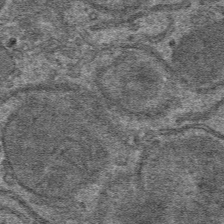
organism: Mouse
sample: Mouse hepatocytes